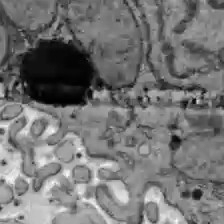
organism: C57BL Mouse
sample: Liver